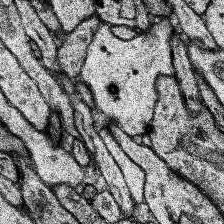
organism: Human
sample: Temporal Lobe